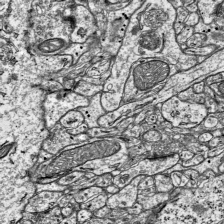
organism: Mouse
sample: Visual Cortex